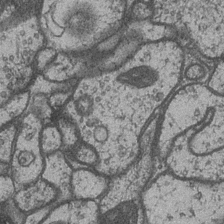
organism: Drosophila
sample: Optic medulla